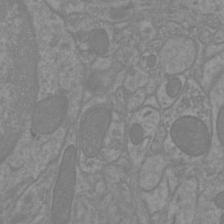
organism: Mouse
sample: Cortical neurons